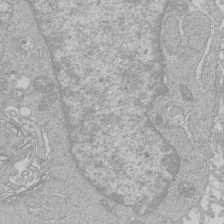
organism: Human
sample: Macrophage cells